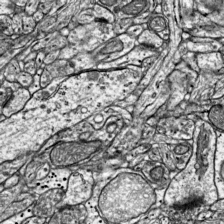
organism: Mouse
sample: Visual Cortex